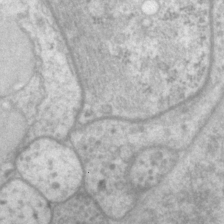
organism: P. pacificus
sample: Pharynx